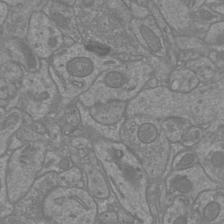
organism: Mouse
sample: Cortical neurons